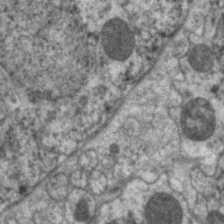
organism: C. elegans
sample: Pharynx